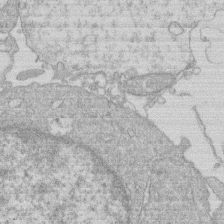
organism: Human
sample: Macrophage cells